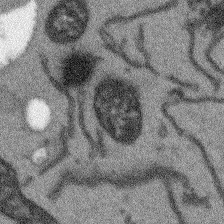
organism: Arabidopsis thaliana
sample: Root tip